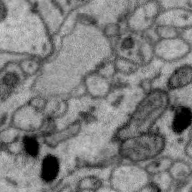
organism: Zebra finch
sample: Brain